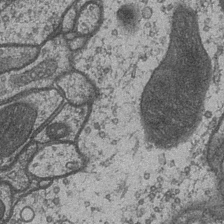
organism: Drosophila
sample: Optic medulla